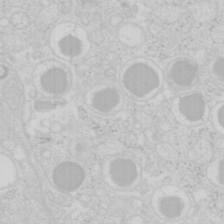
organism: Mouse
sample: Pancreas